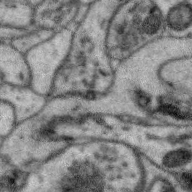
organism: Zebra finch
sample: Brain